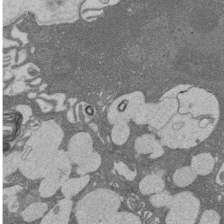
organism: Rat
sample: Salivary granule